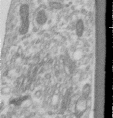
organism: Human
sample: Centriole in RPE cells